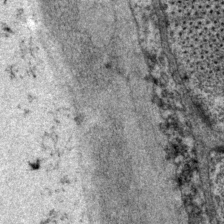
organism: P. pacificus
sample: Pharynx